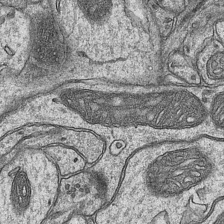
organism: Mouse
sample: CA1 Hippocampus